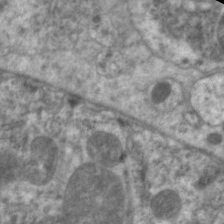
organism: C. elegans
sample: Pharynx